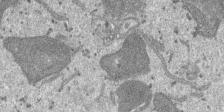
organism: Human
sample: Lung epithelial cells infected with SARS-CoV-2